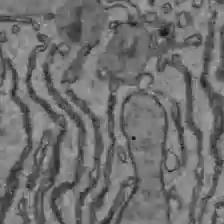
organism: C57BL Mouse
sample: Liver